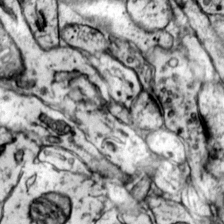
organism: Mouse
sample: Primary visual cortex